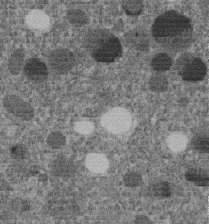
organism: C. elegans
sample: C. elegans embryo early stage